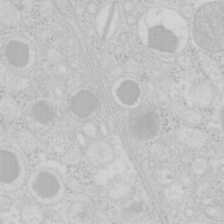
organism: Mouse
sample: Pancreas